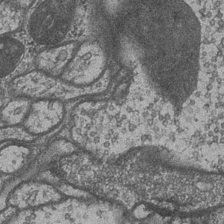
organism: Drosophila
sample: Optic medulla